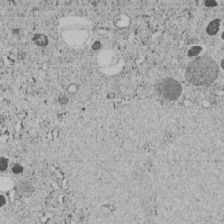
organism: C. elegans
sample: C. elegans embryo early stage